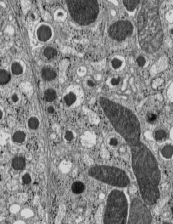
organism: C57BL Mouse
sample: Pancreatic islet